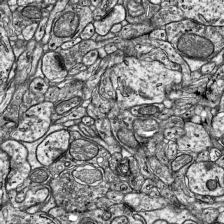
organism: Mouse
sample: Visual Cortex